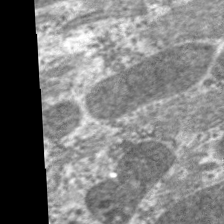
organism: C. elegans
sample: Pharynx